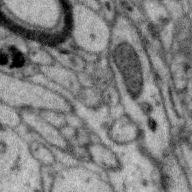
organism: Zebra finch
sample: Brain